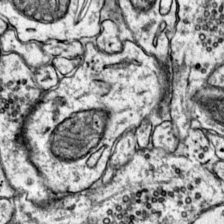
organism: Mouse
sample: Primary visual cortex